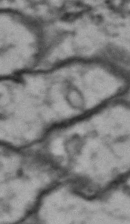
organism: Drosophila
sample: Brain